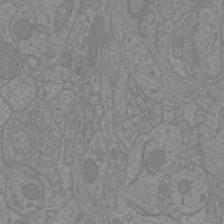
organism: Mouse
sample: Cortical neurons